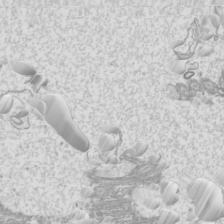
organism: Mouse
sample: Cilia; mouse epididymis